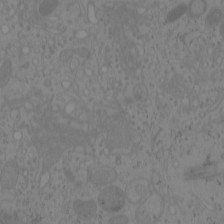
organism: Human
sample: HeLa cells